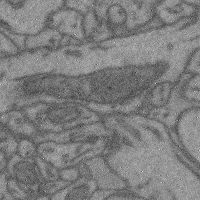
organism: Mouse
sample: Cerebral cortex